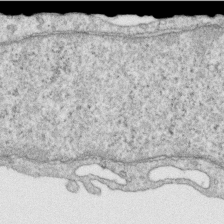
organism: Human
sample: Centriole in RPE cells